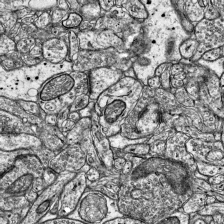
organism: Mouse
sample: Visual Cortex